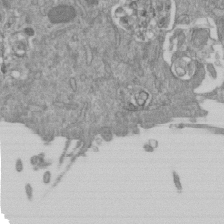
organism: Mouse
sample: ED-1 cell nuclei; centrioles